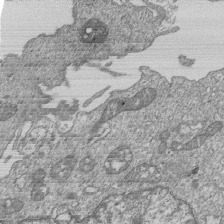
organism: Human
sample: MDA-MB-231 cells